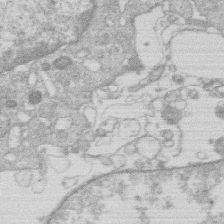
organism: Human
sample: Macrophage cells